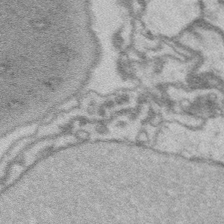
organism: Platynereis dumerilii